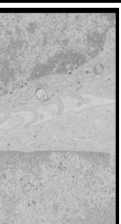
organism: Human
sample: Mitochondria in HCT116 cells